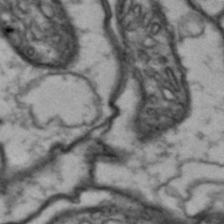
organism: Drosophila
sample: Brain